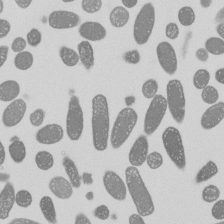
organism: E. coli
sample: Bacterial nucleoid